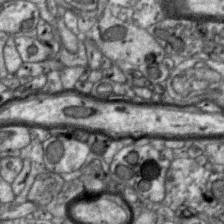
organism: Zebra finch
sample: Brain